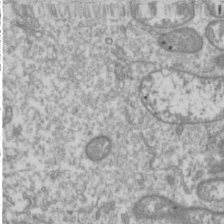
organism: Drosophila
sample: Cell division; meiosis; drosophila spermatocytes